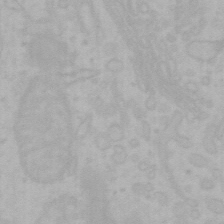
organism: Mouse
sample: Choroid plexus